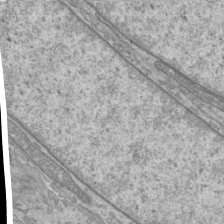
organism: Mouse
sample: Cilia; mouse epididymis